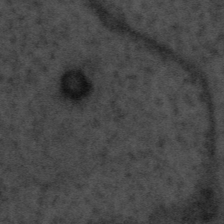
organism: Tuwongella immobilis